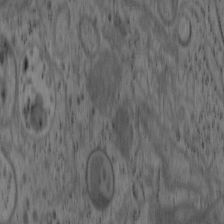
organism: Human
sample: HeLa cells